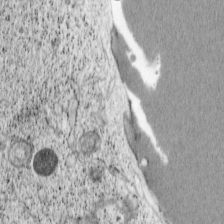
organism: African green monkey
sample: COS-7 cells